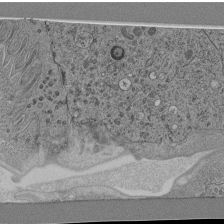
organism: C. elegans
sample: C. elegans pharynx